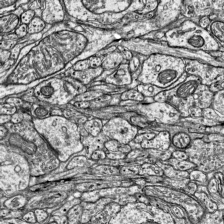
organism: Mouse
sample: Visual Cortex